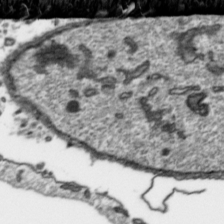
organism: Toxoplasma gondii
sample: Parasites in a vacuole inside a host cell